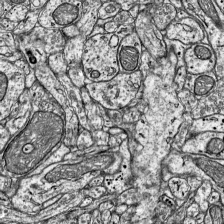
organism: Mouse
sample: Visual Cortex